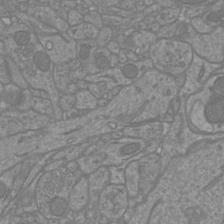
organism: Mouse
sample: Cortical neurons